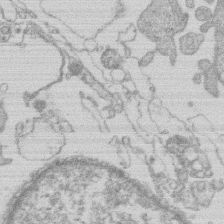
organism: Human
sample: Macrophage cells